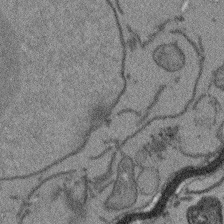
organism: Arabidopsis thaliana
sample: Root tip